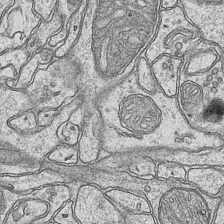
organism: Mouse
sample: CA1 Hippocampus